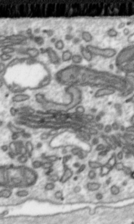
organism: Toxoplasma gondii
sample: Parasites in a vacuole inside a host cell